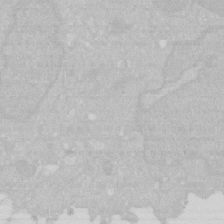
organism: Human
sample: HIV infected U937 cells